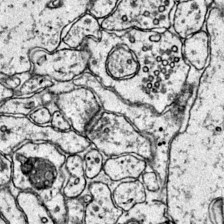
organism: Mouse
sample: Primary visual cortex